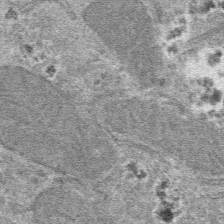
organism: Mouse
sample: Mouse hepatocytes